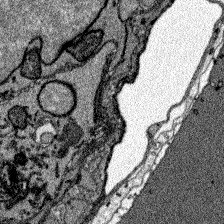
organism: Zebrafish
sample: Larval olfactory bulb